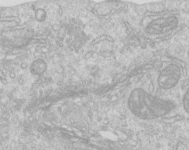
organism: Human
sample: Centriole in RPE cells